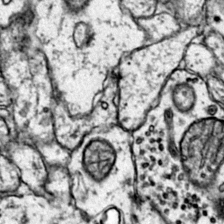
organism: Mouse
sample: Primary visual cortex